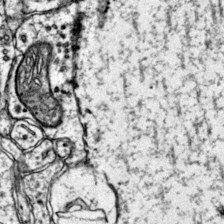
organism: Mouse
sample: Primary visual cortex